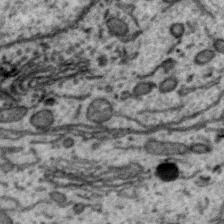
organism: Zebra finch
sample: Brain